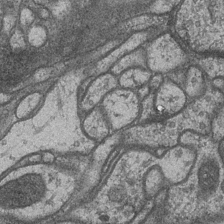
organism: Drosophila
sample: Optic medulla